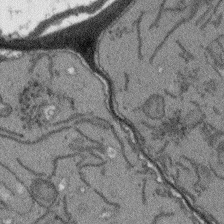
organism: Arabidopsis thaliana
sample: Root tip